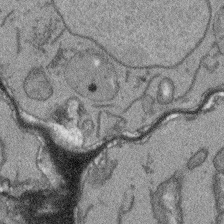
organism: Arabidopsis thaliana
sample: Root tip